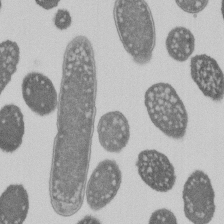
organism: E. coli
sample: Bacterial nucleoid